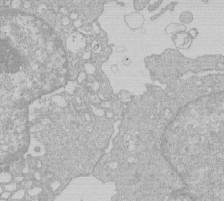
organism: Human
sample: Macrophage cells